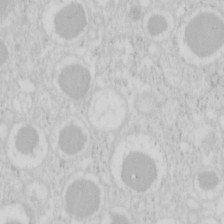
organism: Mouse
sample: Pancreas